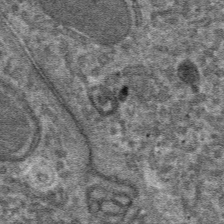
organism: Mouse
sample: Mouse hepatocytes